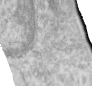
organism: Human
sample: Centriole in RPE cells